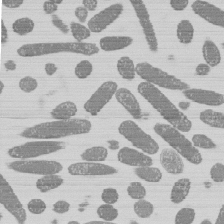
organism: E. coli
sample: Bacterial nucleoid